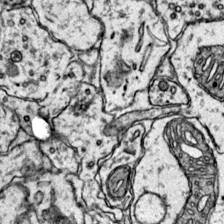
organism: Mouse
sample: Primary visual cortex